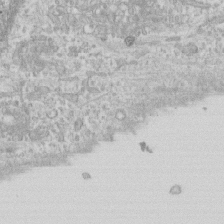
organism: Human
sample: CRL-1474